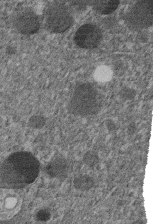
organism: C. elegans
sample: C. elegans embryo early stage